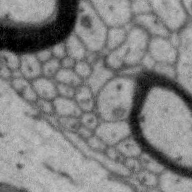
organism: Zebra finch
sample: Brain